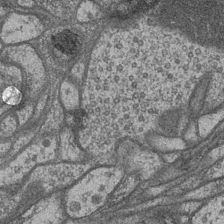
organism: Drosophila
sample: Optic medulla